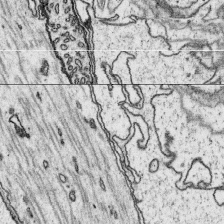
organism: Platynereis dumerilii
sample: Parapodia